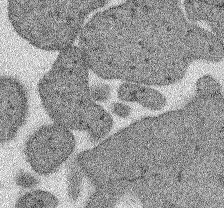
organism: Human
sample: HeLa cells